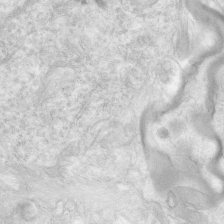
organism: Human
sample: Neocortex